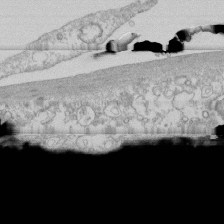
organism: Human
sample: CRL-1474